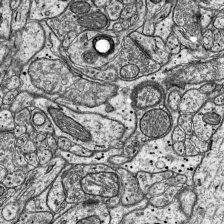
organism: Mouse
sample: Visual Cortex